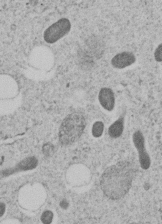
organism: C. elegans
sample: C. elegans embryo early stage